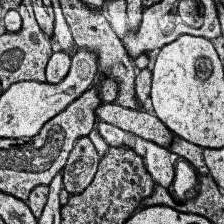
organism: Human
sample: Temporal Lobe